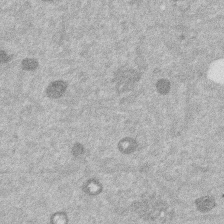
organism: Mouse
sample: Dividing mouse embryo 1 cell stage